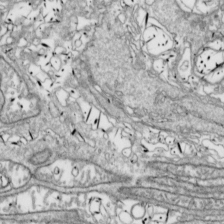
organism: Drosophila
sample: Cell division; meiosis; drosophila spermatocytes